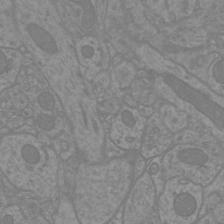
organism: Mouse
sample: Cortical neurons